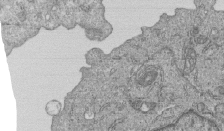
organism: Human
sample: MDA-MB-231 cells